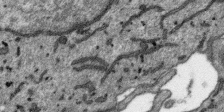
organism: Human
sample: Lung epithelial cells, uninfected (mock) control